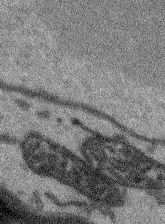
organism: Arabidopsis thaliana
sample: Root tip